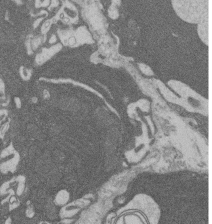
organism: Rat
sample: Salivary granule